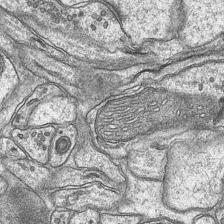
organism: Mouse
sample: CA1 Hippocampus